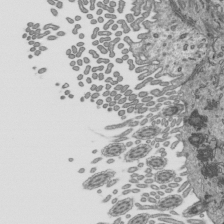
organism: Mouse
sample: Mouse epididymis efferent ductule cilia